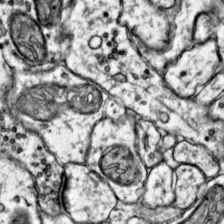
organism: Mouse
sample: Primary visual cortex